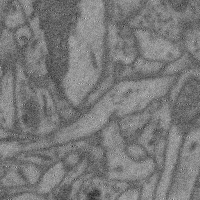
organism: Mouse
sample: Cerebral cortex